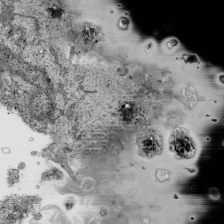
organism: Human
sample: Mitochondria in HCT116 cells